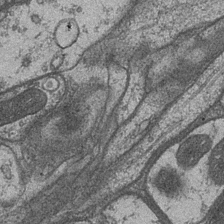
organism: Drosophila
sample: Optic medulla